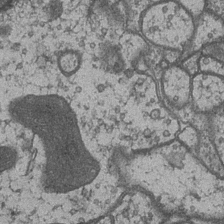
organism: Drosophila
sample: Optic medulla